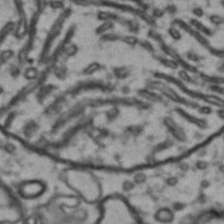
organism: Drosophila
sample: Brain